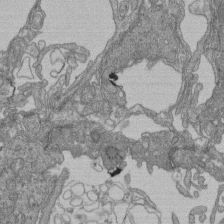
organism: Human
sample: Retinal organoid Rod and Cone cells